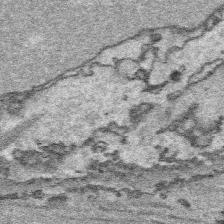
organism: Platynereis dumerilii